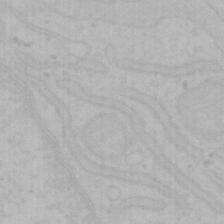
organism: Mouse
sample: Choroid plexus